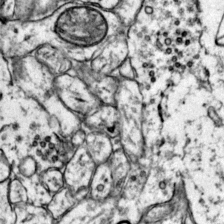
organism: Mouse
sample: Primary visual cortex